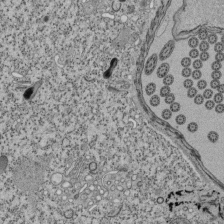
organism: Tetrahymena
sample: Cilia in tetrahymena